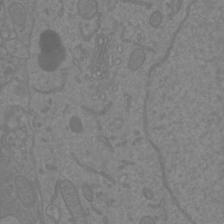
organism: Mouse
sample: Cortical neurons